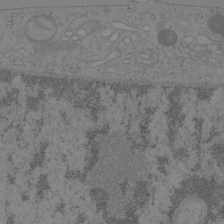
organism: Human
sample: HeLa cells